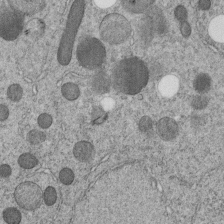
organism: C. elegans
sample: C. elegans embryo early stage